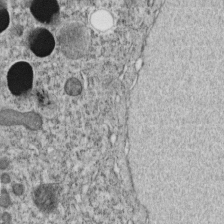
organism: C. elegans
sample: C. elegans embryo early stage